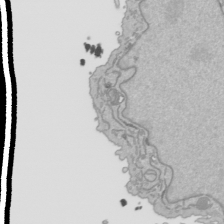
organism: Human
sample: Mitochondria in HCT116 cells